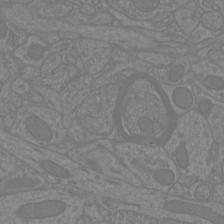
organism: Mouse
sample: Cortical neurons